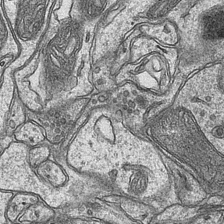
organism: Mouse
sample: CA1 Hippocampus